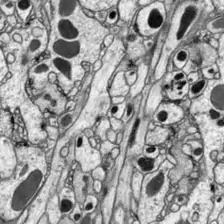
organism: Drosophila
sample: Optic lobe